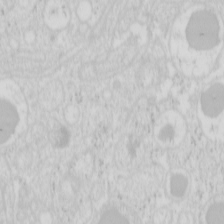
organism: Mouse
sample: Pancreas